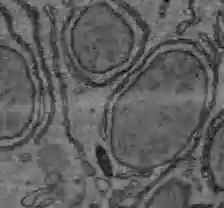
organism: C57BL Mouse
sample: Liver